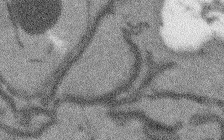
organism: Arabidopsis thaliana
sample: Root tip